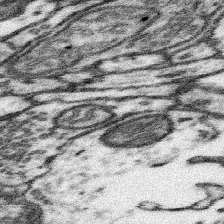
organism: Mouse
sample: Somatosensory cortex neuropil